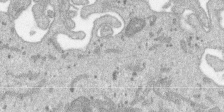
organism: Human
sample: Lung epithelial cells infected with SARS-CoV-2